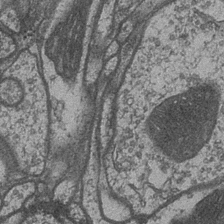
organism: Drosophila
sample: Optic medulla